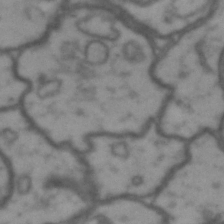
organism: Drosophila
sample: Brain